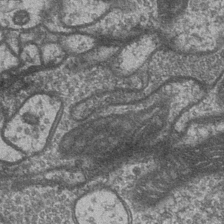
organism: Drosophila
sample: Optic medulla